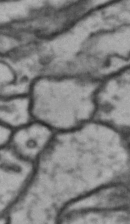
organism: Drosophila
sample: Brain